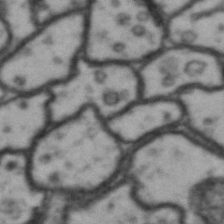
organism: Drosophila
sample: Brain